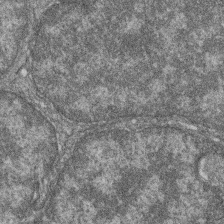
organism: Zebrafish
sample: Cilia; retinal pigment epithelium